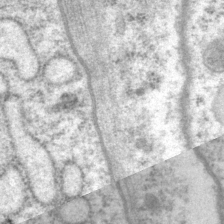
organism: P. pacificus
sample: Pharynx